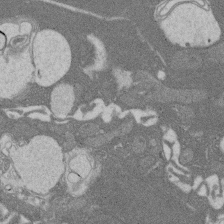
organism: Rat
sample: Salivary granule